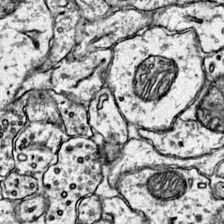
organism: Mouse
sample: Primary visual cortex